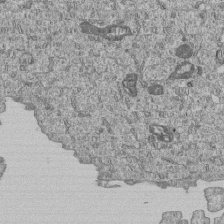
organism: Human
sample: MDA-MB-231 cells